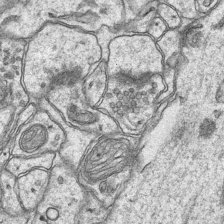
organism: Mouse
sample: CA1 Hippocampus